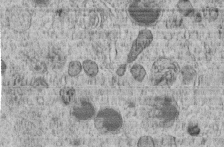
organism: C. elegans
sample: C. elegans embryo early stage